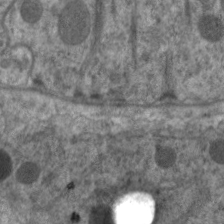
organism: C. elegans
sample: Pharynx